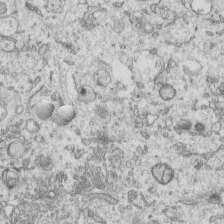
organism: Human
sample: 1205lu cells